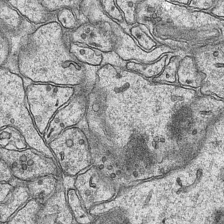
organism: Mouse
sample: CA1 Hippocampus